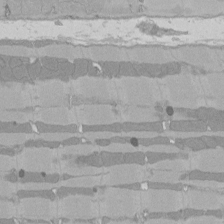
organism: Rat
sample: Left ventricle